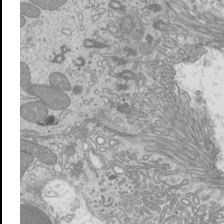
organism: Mouse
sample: Cilia; mouse epididymis